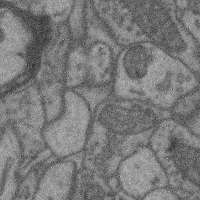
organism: Mouse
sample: Cerebral cortex